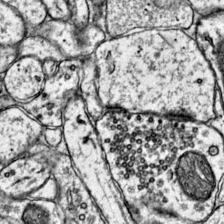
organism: Mouse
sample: Primary visual cortex